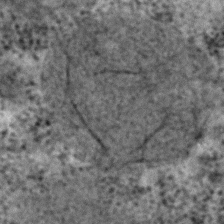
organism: C. elegans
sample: C. elegans embryo